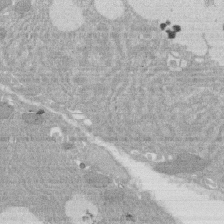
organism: Rat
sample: Salivary granule